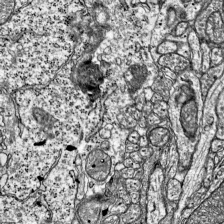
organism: Mouse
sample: Visual Cortex